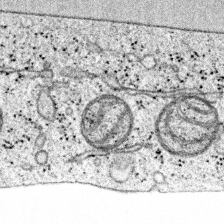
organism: Human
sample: HeLa cells